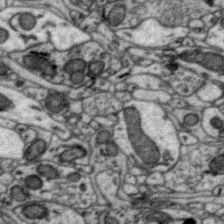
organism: Zebra finch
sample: Brain